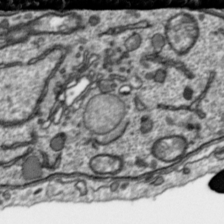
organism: Toxoplasma gondii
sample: Parasites in a vacuole inside a host cell